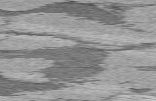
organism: C57BL Mouse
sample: Heart